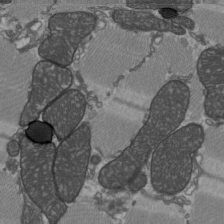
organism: C57BL Mouse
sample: Heart